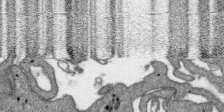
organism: Human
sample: Lung epithelial cells, uninfected (mock) control